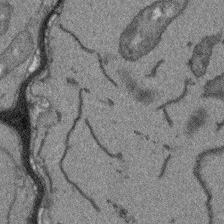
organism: Arabidopsis thaliana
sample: Root tip